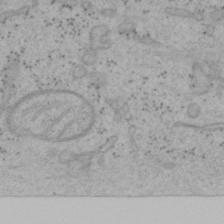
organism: Human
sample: HeLa cells